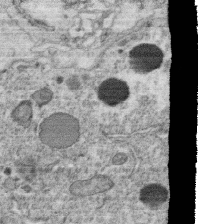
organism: C. elegans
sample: C. elegans oocyte; sperm cells